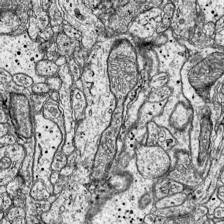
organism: Mouse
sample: Visual Cortex